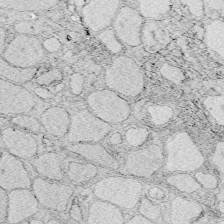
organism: Zebrafish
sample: Whole-Brain